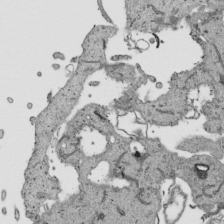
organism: Human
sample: Mitochondria in HCT116 cells